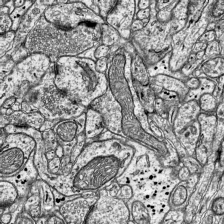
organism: Mouse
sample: Visual Cortex